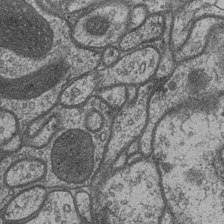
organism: Drosophila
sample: Optic medulla